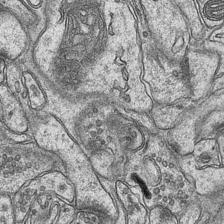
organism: Mouse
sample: CA1 Hippocampus